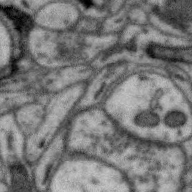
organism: Zebra finch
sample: Brain